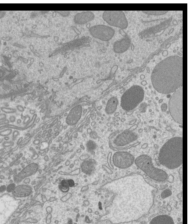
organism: Mouse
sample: Cilia; mouse epididymis